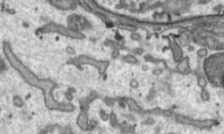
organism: Toxoplasma gondii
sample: Parasites in a vacuole inside a host cell